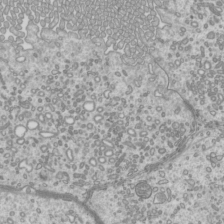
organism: Mouse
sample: Cilia; mouse epididymis